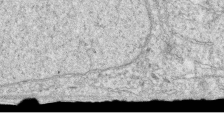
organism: Human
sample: HeLa cell HIV synapse